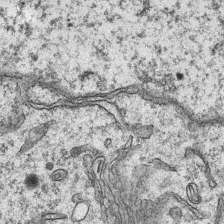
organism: Mouse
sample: CA1 Hippocampus